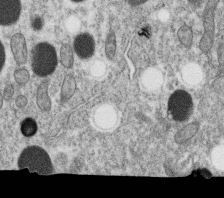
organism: C. elegans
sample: C. elegans oocyte; sperm cells